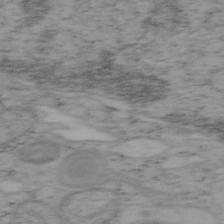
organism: Mouse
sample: OT-I killer T cells with ID8 ovarian cancer cells